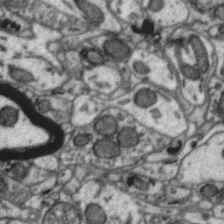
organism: Zebra finch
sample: Brain